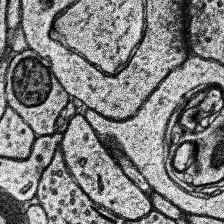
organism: Human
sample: Temporal Lobe